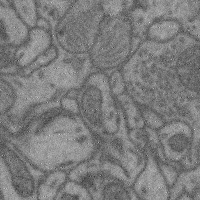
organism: Mouse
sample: Cerebral cortex